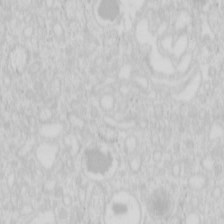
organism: Mouse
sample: Pancreas